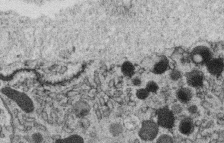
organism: C. elegans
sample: C. elegans oocyte; sperm cells